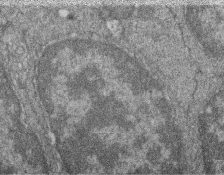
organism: Zebrafish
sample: Cilia; retinal pigment epithelium